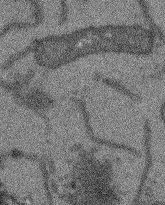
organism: Arabidopsis thaliana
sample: Root tip